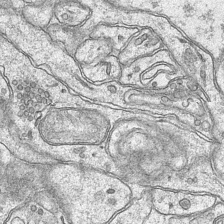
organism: Mouse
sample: CA1 Hippocampus